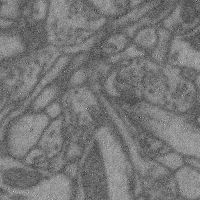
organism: Mouse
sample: Cerebral cortex